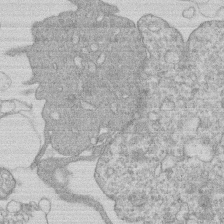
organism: Human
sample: Macrophage cells